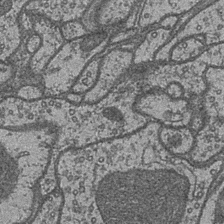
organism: Drosophila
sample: Optic medulla